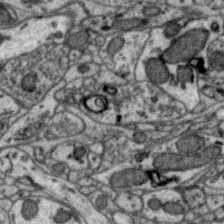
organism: Zebra finch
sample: Brain